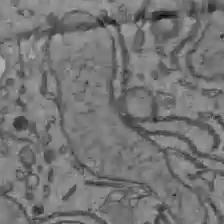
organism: C57BL Mouse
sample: Liver